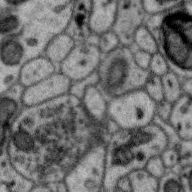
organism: Zebra finch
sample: Brain